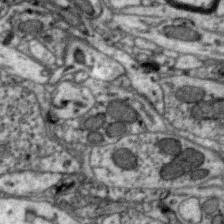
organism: Zebra finch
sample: Brain